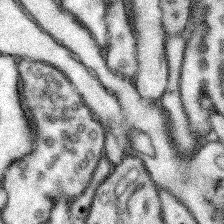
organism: Mouse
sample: Somatosensory cortex neuropil